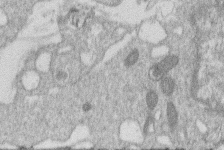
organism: Human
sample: Macrophage cells